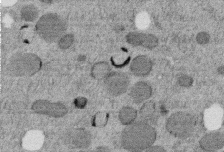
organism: C. elegans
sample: C. elegans embryo early stage